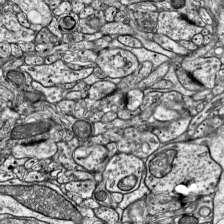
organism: Mouse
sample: Visual Cortex